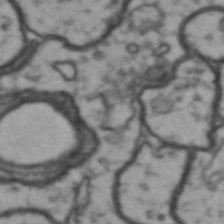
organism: Drosophila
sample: Brain